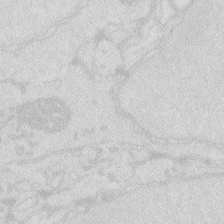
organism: Zebrafish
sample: Macrophage